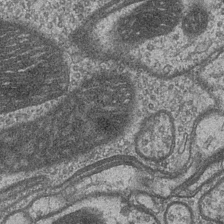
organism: Drosophila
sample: Optic medulla